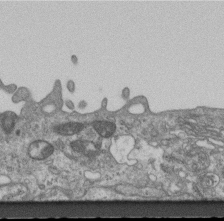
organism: Mouse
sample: Centriole in ependymal cells